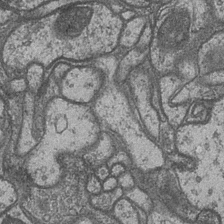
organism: Drosophila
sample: Optic medulla